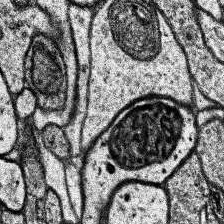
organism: Human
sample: Temporal Lobe